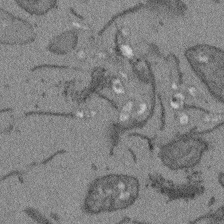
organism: Arabidopsis thaliana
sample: Root tip